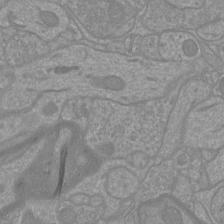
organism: Mouse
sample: Cortical neurons